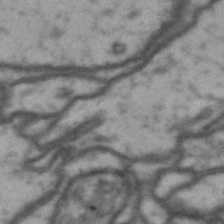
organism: Drosophila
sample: Brain